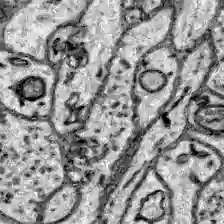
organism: Zebrafish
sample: Brain